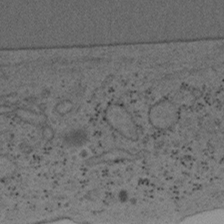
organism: Human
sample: HeLa cells